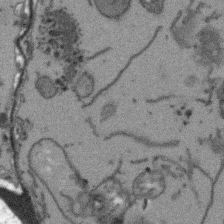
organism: Arabidopsis thaliana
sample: Root tip